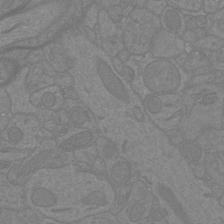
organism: Mouse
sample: Cortical neurons